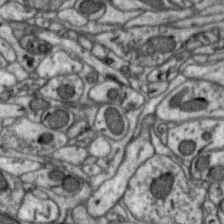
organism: Zebra finch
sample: Brain